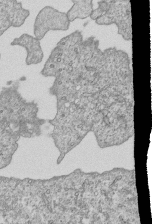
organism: Human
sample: MDA-MB-231 cells